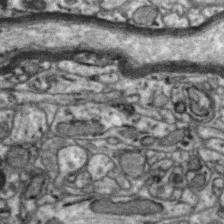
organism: Zebra finch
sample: Brain